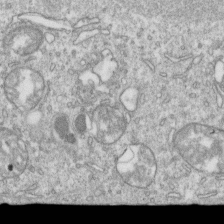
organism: Mouse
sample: Activated OT-1 CD8+ T cells